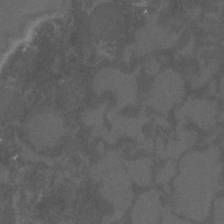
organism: C. elegans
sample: C. elegans embryo